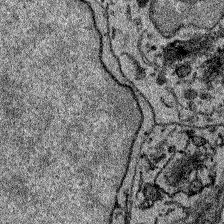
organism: Zebrafish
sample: Larval olfactory bulb